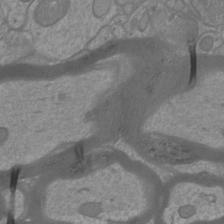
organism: Mouse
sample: Cortical neurons